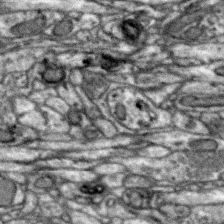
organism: Zebra finch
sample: Brain